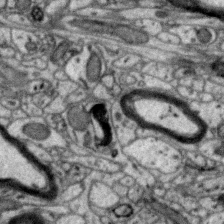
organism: Zebra finch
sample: Brain